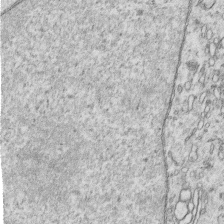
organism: Human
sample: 1205lu cells